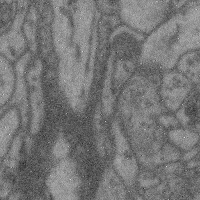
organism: Mouse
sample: Cerebral cortex